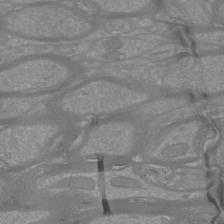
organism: Mouse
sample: Cortical neurons